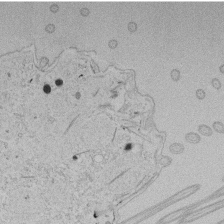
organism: Tetrahymena